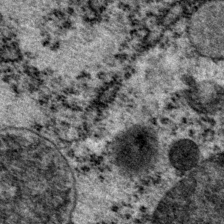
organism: P. pacificus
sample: Pharynx